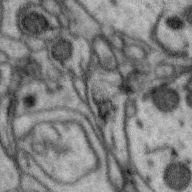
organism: Zebra finch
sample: Brain